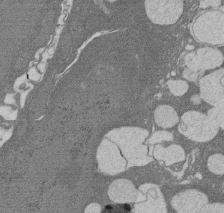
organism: Rat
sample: Salivary granule